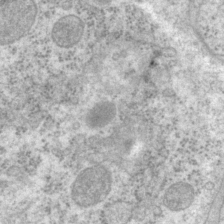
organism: P. pacificus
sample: Pharynx